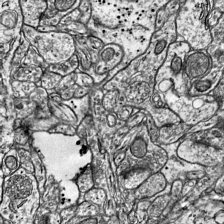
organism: Mouse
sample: Visual Cortex